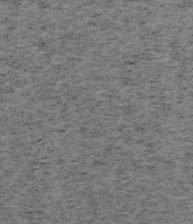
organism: Mouse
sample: OT-I killer T cells with ID8 ovarian cancer cells